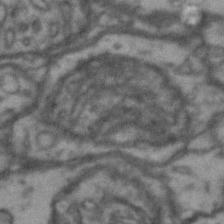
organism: Drosophila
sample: Brain